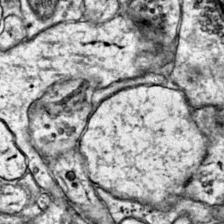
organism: Mouse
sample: Primary visual cortex